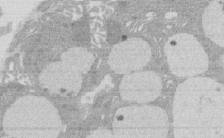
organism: Rat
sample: Salivary granule